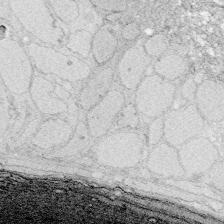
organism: Zebrafish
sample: Whole-Brain